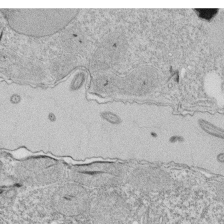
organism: Tetrahymena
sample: Cilia in tetrahymena